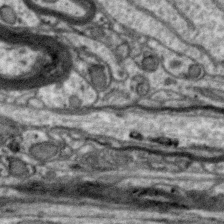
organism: Zebra finch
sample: Brain